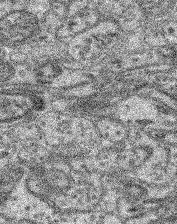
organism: Mouse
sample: Retina